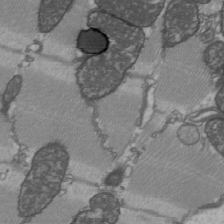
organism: C57BL Mouse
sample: Heart